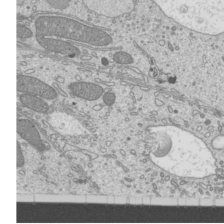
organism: Mouse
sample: Cilia; mouse epididymis